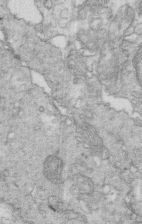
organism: Mouse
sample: Multiciliated cells